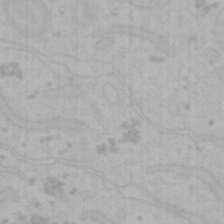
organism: Mouse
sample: Choroid plexus